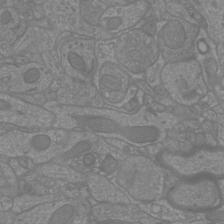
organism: Mouse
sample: Cortical neurons